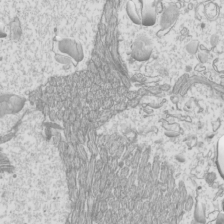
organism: Mouse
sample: Cilia; mouse epididymis